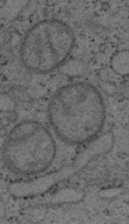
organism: Human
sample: HeLa cells